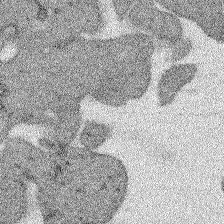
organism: Human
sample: HeLa cells